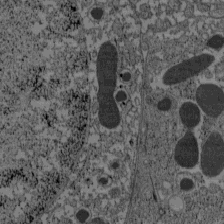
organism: C57BL Mouse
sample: Pancreatic islet